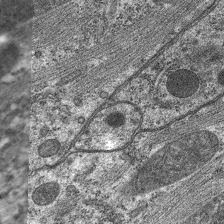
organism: C. elegans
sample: Pharynx